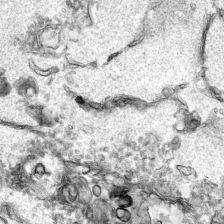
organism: Human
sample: Mitochondria in HCT116 cells